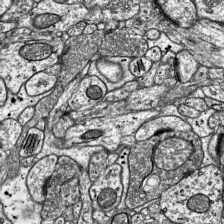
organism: Mouse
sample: Visual Cortex